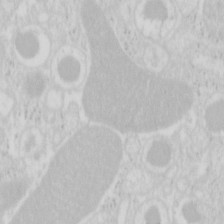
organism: Mouse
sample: Pancreas